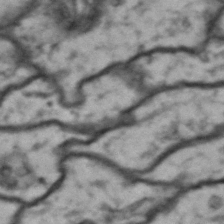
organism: Drosophila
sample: Brain